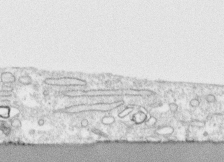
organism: Human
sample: CRL-1474